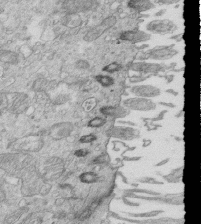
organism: Mouse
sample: Multiciliated cells